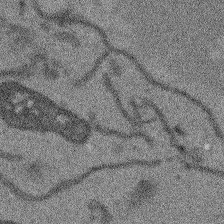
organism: Arabidopsis thaliana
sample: Root tip